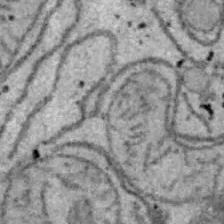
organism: Mouse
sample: Liver from an obese (ob/ob) mouse